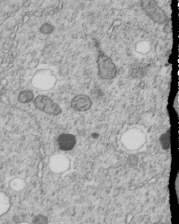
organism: C. elegans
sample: C. elegans embryo early stage